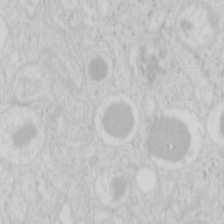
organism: Mouse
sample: Pancreas